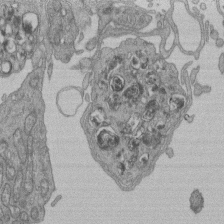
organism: Human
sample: Retinal organoid Rod and Cone cells